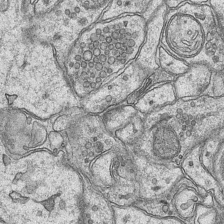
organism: Mouse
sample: CA1 Hippocampus